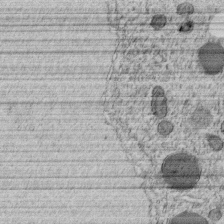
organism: C. elegans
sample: C. elegans embryo early stage